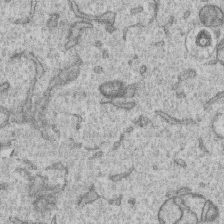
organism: Human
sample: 1205lu cells